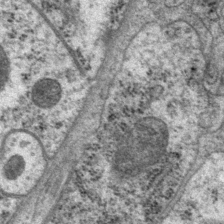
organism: P. pacificus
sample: Pharynx